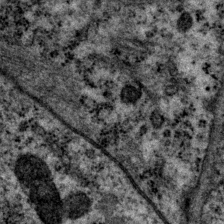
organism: P. pacificus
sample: Pharynx